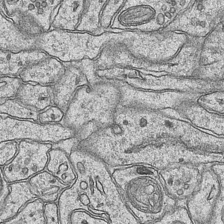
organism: Mouse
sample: CA1 Hippocampus